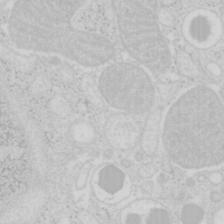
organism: Mouse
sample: Pancreas